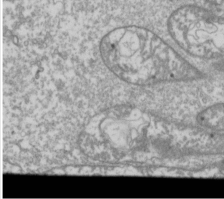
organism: Drosophila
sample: Cell division; meiosis; drosophila spermatocytes